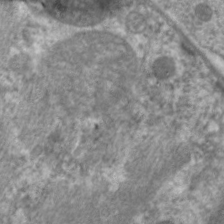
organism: C. elegans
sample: Pharynx